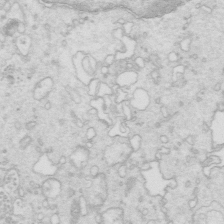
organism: Mouse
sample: Multiciliated cells